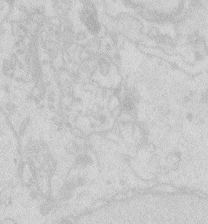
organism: Zebrafish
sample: Macrophage